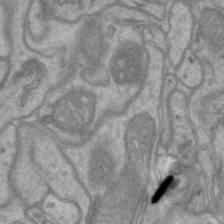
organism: Mouse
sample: CA1 Hippocampus